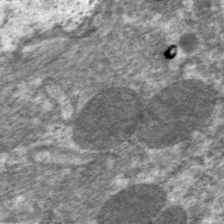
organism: C. elegans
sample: Pharynx